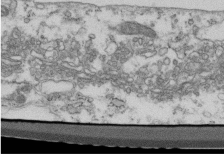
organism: Mouse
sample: Cilia; retinal pigment epithelium